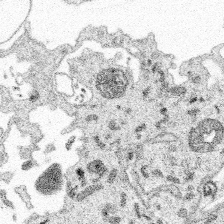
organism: Spongilla lacustris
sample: Multiple